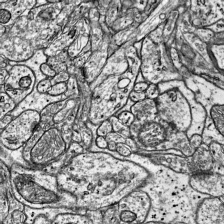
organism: Mouse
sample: Visual Cortex